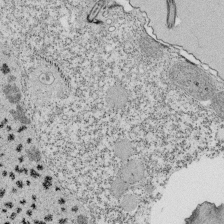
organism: Tetrahymena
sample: Cilia in tetrahymena